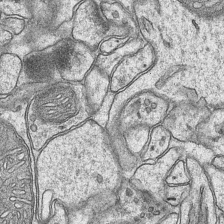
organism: Mouse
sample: CA1 Hippocampus